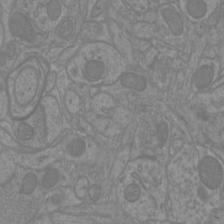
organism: Mouse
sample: Cortical neurons